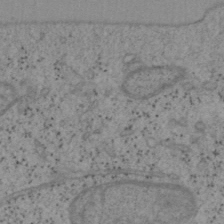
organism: Human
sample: HeLa cells